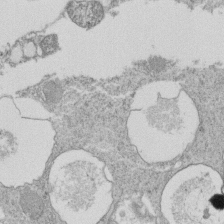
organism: Tetrahymena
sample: Cilia in tetrahymena